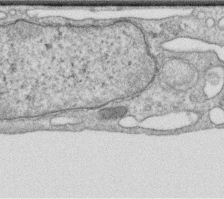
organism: Human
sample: Centriole in RPE cells